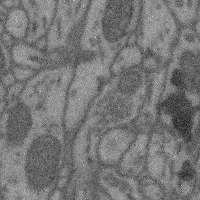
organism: Mouse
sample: Cerebral cortex